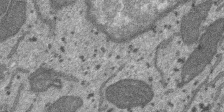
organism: Human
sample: Lung epithelial cells infected with SARS-CoV-2